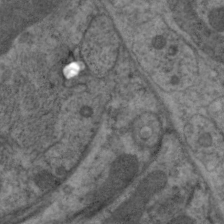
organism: C. elegans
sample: Pharynx